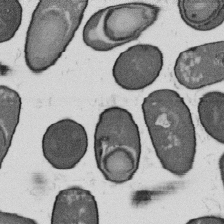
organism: B. subtilis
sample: Bacterial spore